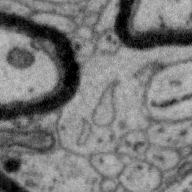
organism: Zebra finch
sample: Brain